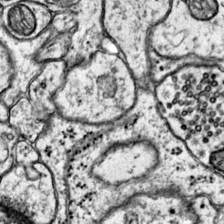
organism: Mouse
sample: Primary visual cortex